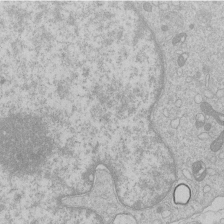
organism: Human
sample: Macrophage cells